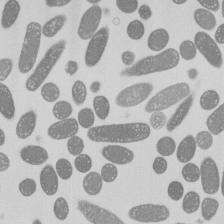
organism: E. coli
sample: Bacterial nucleoid